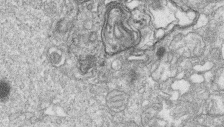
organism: Human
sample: HeLa cell HIV synapse